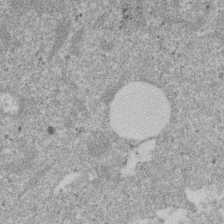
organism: Mouse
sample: Dividing mouse embryo 1 cell stage